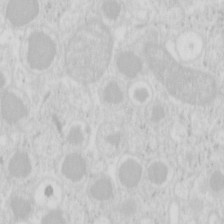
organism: Mouse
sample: Pancreas